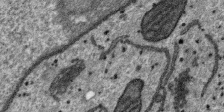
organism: Human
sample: Lung epithelial cells, uninfected (mock) control